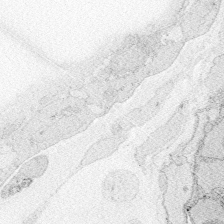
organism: Zebrafish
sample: Whole-Brain